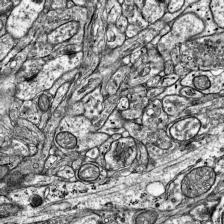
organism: Mouse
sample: Visual Cortex